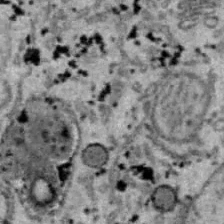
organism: Mouse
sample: Liver from an obese (ob/ob) mouse